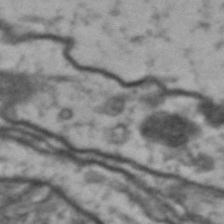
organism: Drosophila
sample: Brain